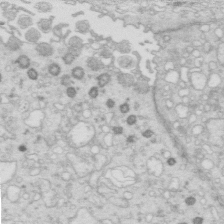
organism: Mouse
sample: Multiciliated cells